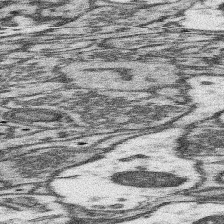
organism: Mouse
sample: Somatosensory cortex neuropil